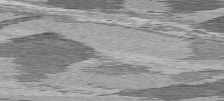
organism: C57BL Mouse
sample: Heart